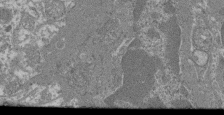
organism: Mouse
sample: Glomerulus